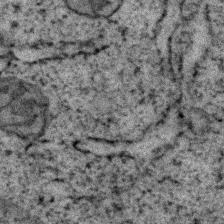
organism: Zebrafish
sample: Zebrafish embryo